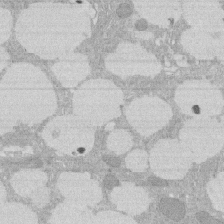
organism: Rat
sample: Salivary granule